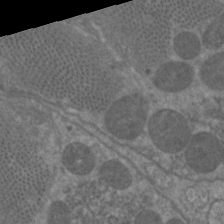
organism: C. elegans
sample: Pharynx